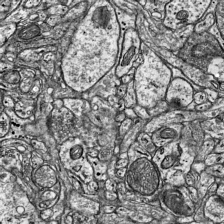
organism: Mouse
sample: Visual Cortex